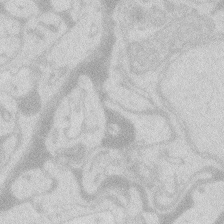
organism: Zebrafish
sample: Macrophage